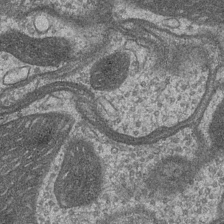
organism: Drosophila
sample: Optic medulla